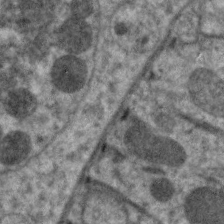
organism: C. elegans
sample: Pharynx